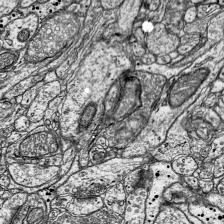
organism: Mouse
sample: Visual Cortex